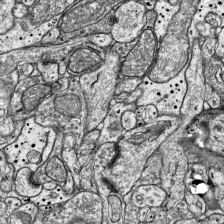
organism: Mouse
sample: Visual Cortex